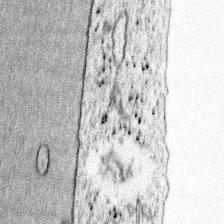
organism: Human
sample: HeLa cells